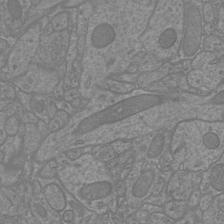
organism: Mouse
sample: Cortical neurons